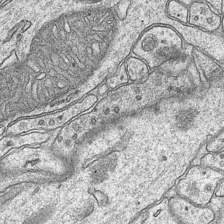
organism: Mouse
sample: CA1 Hippocampus